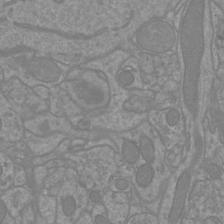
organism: Mouse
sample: Cortical neurons